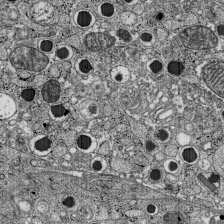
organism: C57BL Mouse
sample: Pancreatic islet